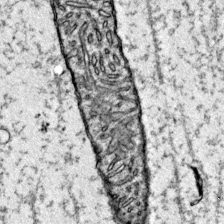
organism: Mouse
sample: Primary visual cortex